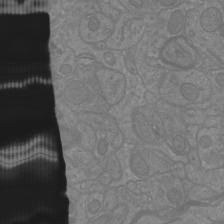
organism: Mouse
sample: Cortical neurons